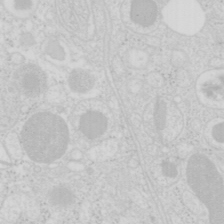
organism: Mouse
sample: Pancreas